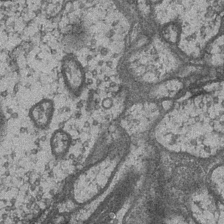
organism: Drosophila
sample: Optic medulla